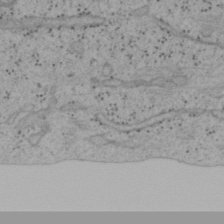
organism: Human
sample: HeLa cells